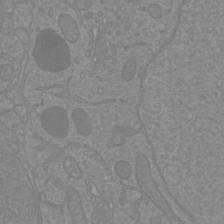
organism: Mouse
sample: Cortical neurons